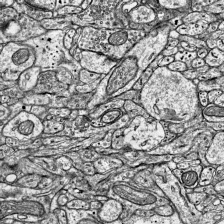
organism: Mouse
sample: Visual Cortex